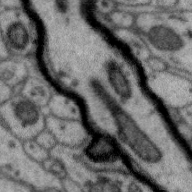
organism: Zebra finch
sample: Brain